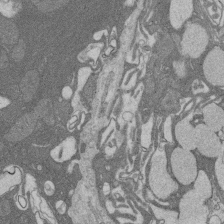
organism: Rat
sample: Salivary granule